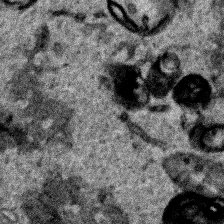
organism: Human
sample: Mitochondria in HCT116 cells